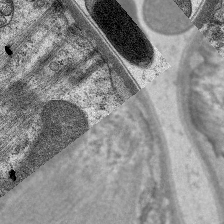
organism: C. elegans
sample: Pharynx